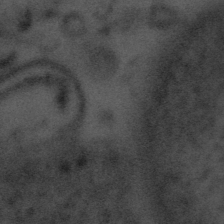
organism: Tuwongella immobilis